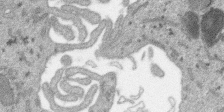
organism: Human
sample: Lung epithelial cells infected with SARS-CoV-2